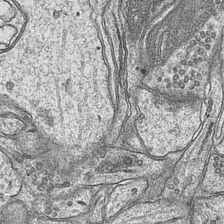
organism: Mouse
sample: CA1 Hippocampus